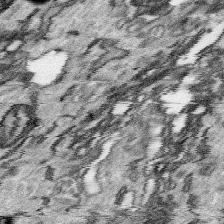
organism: Human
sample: HeLa cells